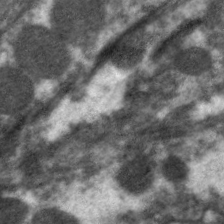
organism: C. elegans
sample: Pharynx